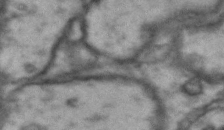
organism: Drosophila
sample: Brain